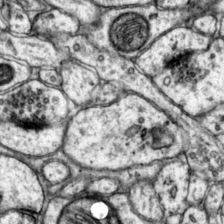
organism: Mouse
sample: Primary visual cortex